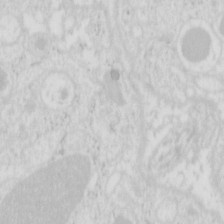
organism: Mouse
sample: Pancreas